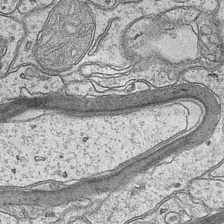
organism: Mouse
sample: CA1 Hippocampus